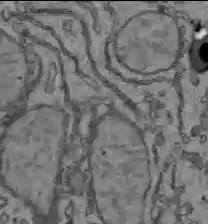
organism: C57BL Mouse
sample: Liver